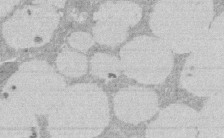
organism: Rat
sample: Salivary granule